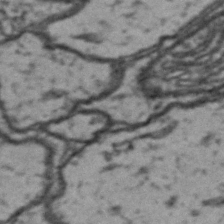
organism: Drosophila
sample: Brain